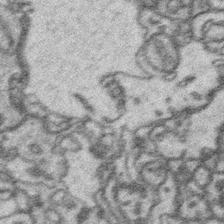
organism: Platynereis dumerilii